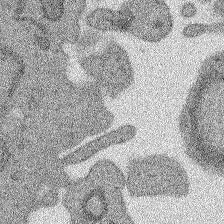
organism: Human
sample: HeLa cells